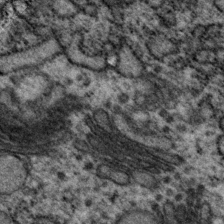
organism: P. pacificus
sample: Pharynx